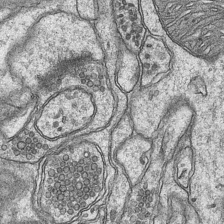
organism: Mouse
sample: CA1 Hippocampus